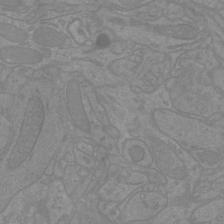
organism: Mouse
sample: Cortical neurons